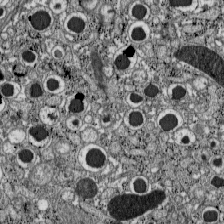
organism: C57BL Mouse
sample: Pancreatic islet